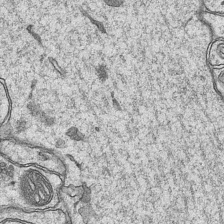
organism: Mouse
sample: CA1 Hippocampus